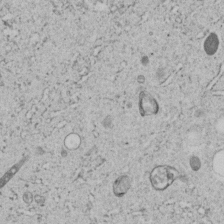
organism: C. elegans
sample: C. elegans embryo early stage